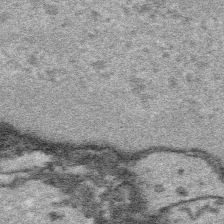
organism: Platynereis dumerilii